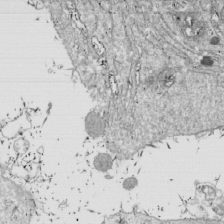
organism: Drosophila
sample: Cell division; meiosis; drosophila spermatocytes